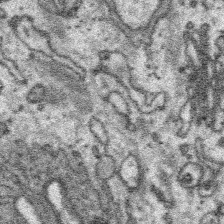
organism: Platynereis dumerilii